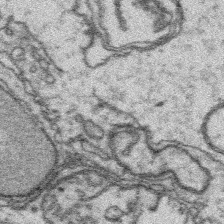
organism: Platynereis dumerilii